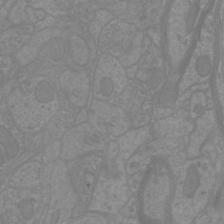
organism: Mouse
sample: Cortical neurons